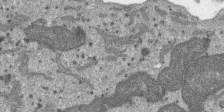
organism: Human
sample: Lung epithelial cells infected with SARS-CoV-2